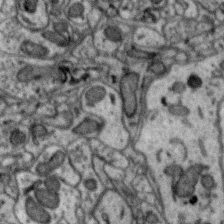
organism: Zebra finch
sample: Brain